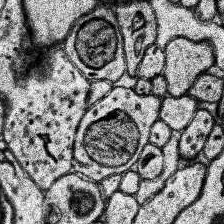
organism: Human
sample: Temporal Lobe